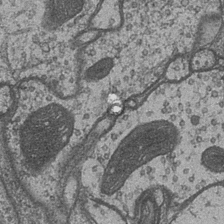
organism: Drosophila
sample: Optic medulla